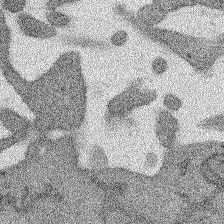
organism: Human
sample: HeLa cells